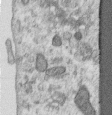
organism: Human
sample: Centriole in RPE cells